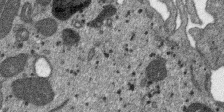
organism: Human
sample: Lung epithelial cells infected with SARS-CoV-2